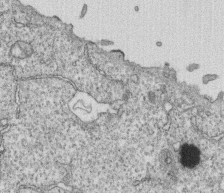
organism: Human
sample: HeLa cell HIV synapse